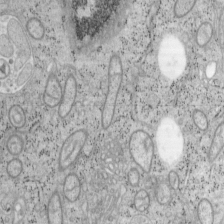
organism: Mouse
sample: OT-I killer T cells with ID8 ovarian cancer cells